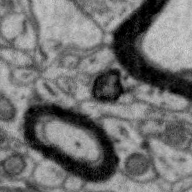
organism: Zebra finch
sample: Brain